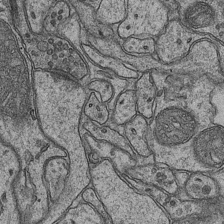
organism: Mouse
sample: CA1 Hippocampus